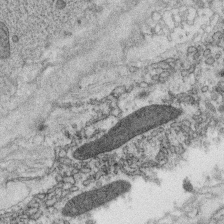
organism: C. elegans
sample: C. elegans oocyte; sperm cells